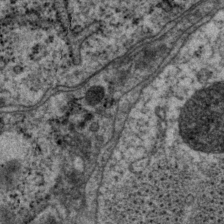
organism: P. pacificus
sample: Pharynx